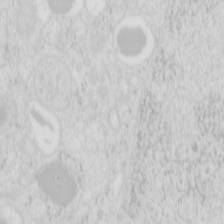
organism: Mouse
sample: Pancreas